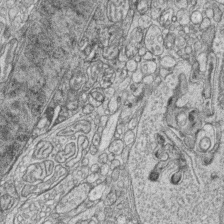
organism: Zebrafish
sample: synaptic ribbons in rod cells and cone cells